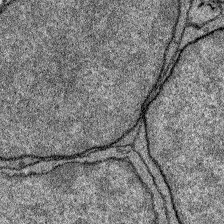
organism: Zebrafish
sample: Larval olfactory bulb